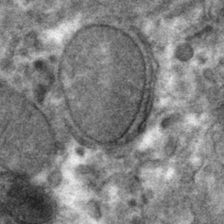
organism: Mouse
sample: Mouse hepatocytes